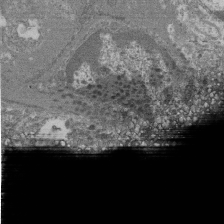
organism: Mouse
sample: Glomerulus